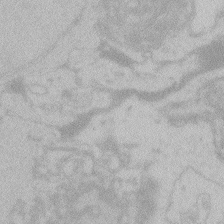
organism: Zebrafish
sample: Macrophage infected with Toxoplasma gondii